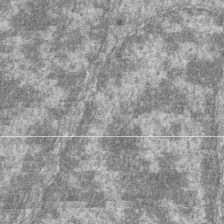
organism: Zebrafish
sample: Cilia; retinal pigment epithelium